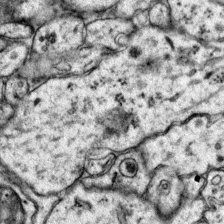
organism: Mouse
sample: Primary visual cortex